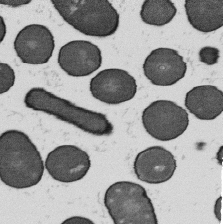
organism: B. subtilis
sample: Bacterial spore